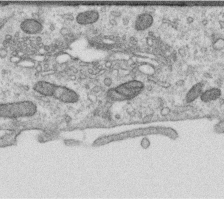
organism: Human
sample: Centriole in RPE cells